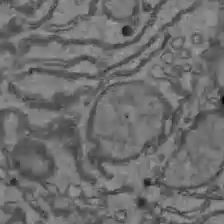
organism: C57BL Mouse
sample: Liver